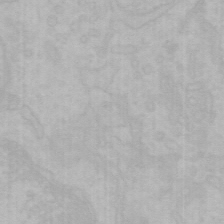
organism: Mouse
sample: Choroid plexus